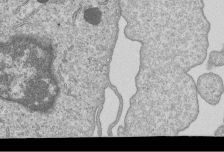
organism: Human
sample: MDA-MB-231 cells